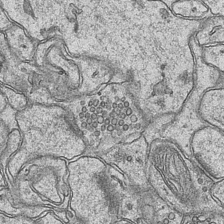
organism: Mouse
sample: CA1 Hippocampus